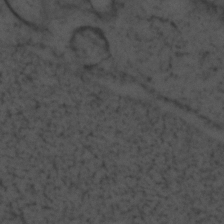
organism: Zebrafish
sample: Zebrafish embryo